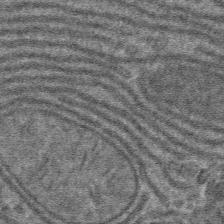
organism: Mouse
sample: Mouse hepatocytes